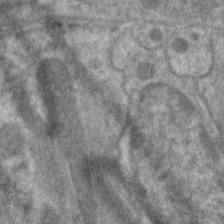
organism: C. elegans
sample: Pharynx